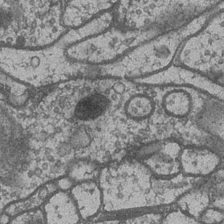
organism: Drosophila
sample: Optic medulla